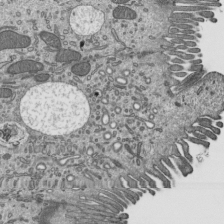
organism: Mouse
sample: Mouse epididymis efferent ductule cilia